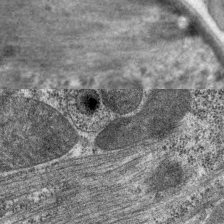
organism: C. elegans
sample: Pharynx